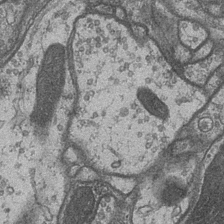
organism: Drosophila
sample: Optic medulla